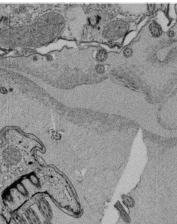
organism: Tetrahymena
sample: Cilia in tetrahymena